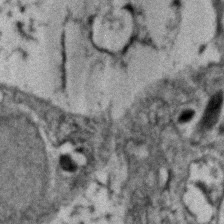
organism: Zebrafish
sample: Zebrafish embryo